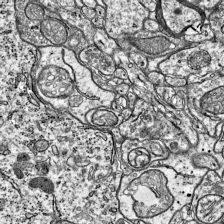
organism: Mouse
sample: Visual Cortex